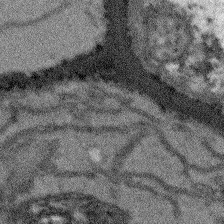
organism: Arabidopsis thaliana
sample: Root tip